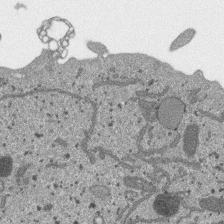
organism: Human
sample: Lung epithelial cells infected with SARS-CoV-2